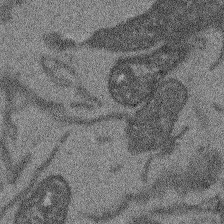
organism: Arabidopsis thaliana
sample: Root tip